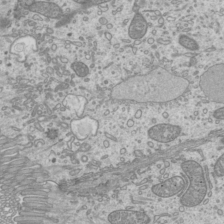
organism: Mouse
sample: Cilia; mouse epididymis